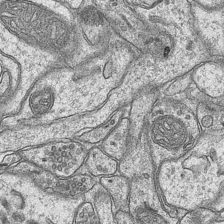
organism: Mouse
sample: CA1 Hippocampus